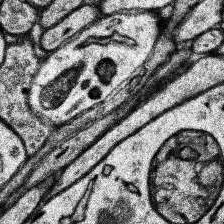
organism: Human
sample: Temporal Lobe